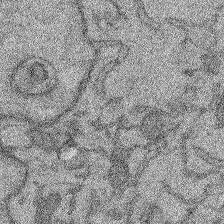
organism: Human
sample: HeLa cells